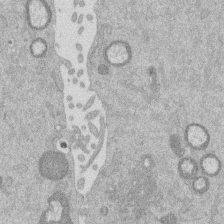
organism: Mouse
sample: Dividing mouse embryo 1 cell stage